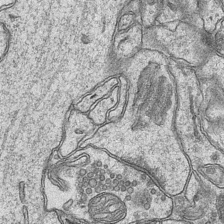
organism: Mouse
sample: CA1 Hippocampus